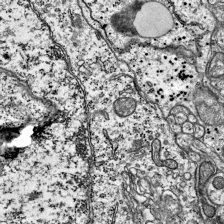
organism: Mouse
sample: Visual Cortex